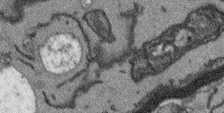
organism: Arabidopsis thaliana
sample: Root tip